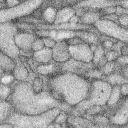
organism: Rabbit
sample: Retina